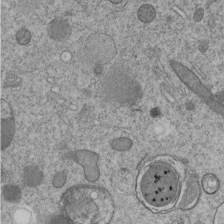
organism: C. elegans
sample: C. elegans embryo early stage